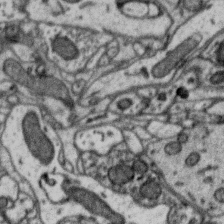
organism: Zebra finch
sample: Brain